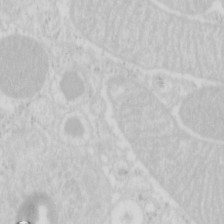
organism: Mouse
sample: Pancreas